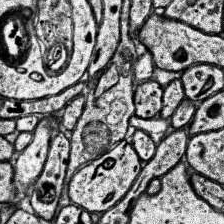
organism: Human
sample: Temporal Lobe